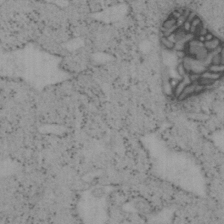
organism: Mouse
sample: OT-I killer T cells with ID8 ovarian cancer cells